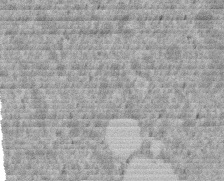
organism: Mouse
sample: Dividing mouse embryo 1 cell stage